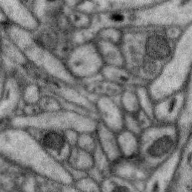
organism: Zebra finch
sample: Brain